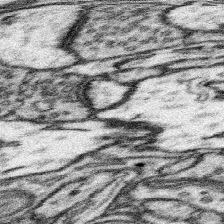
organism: Mouse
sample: Somatosensory cortex neuropil